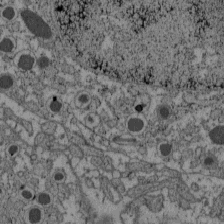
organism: C57BL Mouse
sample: Pancreatic islet